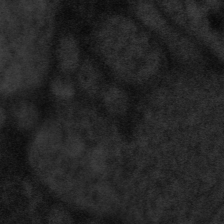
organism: Tuwongella immobilis